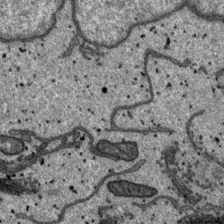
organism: Human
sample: Lung epithelial cells, uninfected (mock) control